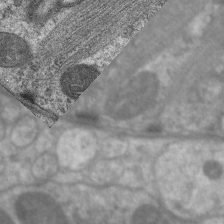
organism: C. elegans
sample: Pharynx